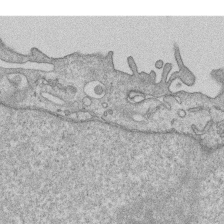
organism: Human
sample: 1205lu cells